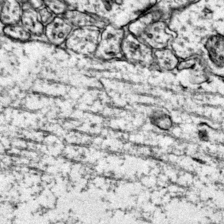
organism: Mouse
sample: Primary visual cortex